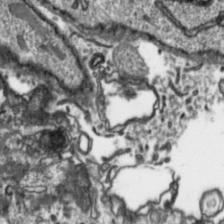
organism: Toxoplasma gondii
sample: Parasites in a vacuole inside a host cell